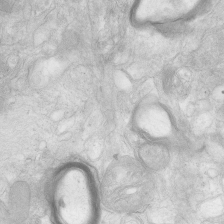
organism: Human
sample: Neocortex